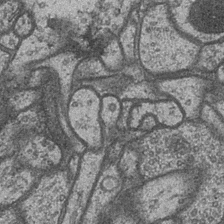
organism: Drosophila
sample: Optic medulla